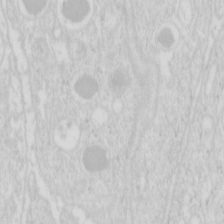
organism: Mouse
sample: Pancreas